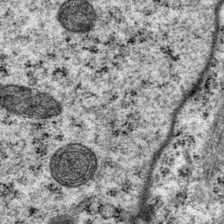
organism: P. pacificus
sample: Pharynx